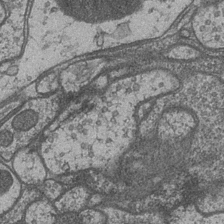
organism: Drosophila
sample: Optic medulla